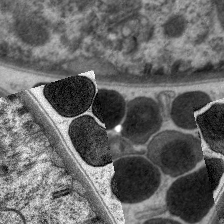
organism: C. elegans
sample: Pharynx